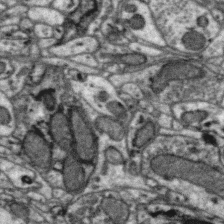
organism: Zebra finch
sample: Brain